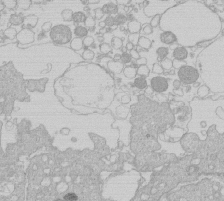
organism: Human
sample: Macrophage cells